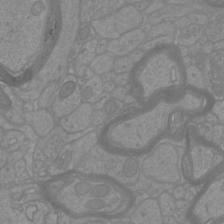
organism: Mouse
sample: Cortical neurons